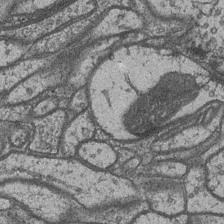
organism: Drosophila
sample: Optic medulla